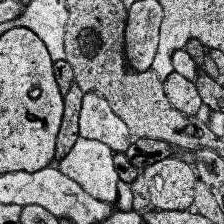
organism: Human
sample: Temporal Lobe